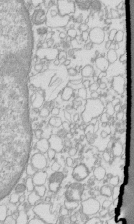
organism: Mouse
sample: Macrophages